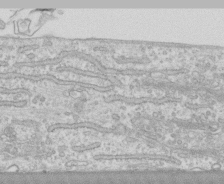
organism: Human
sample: CRL-1474